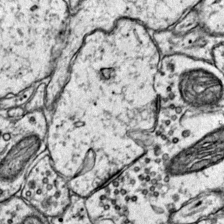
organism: Mouse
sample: Primary visual cortex